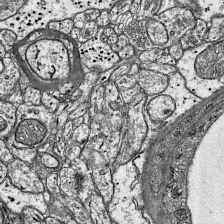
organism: Mouse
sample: Visual Cortex